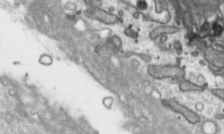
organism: Toxoplasma gondii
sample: Parasites in a vacuole inside a host cell